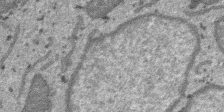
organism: Human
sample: Lung epithelial cells infected with SARS-CoV-2